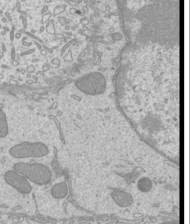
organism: Mouse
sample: Cilia; mouse epididymis